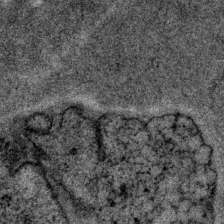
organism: P. pacificus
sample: Pharynx